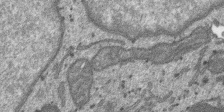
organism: Human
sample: Lung epithelial cells infected with SARS-CoV-2